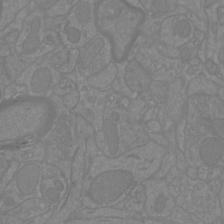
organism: Mouse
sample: Cortical neurons